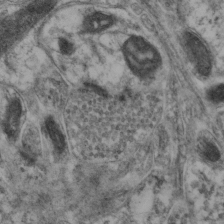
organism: Mouse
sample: Neocortex